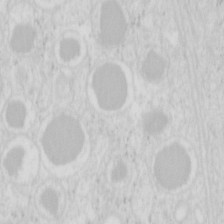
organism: Mouse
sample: Pancreas